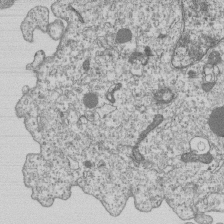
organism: Human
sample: MDA-MB-231 cells